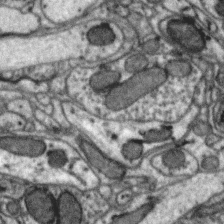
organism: Zebra finch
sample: Brain